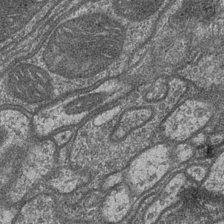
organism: Drosophila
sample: Optic medulla